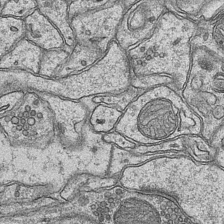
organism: Mouse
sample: CA1 Hippocampus